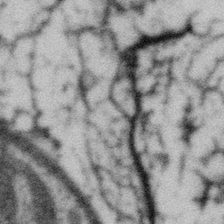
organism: Gemmata obscuriglobus